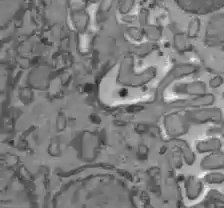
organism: C57BL Mouse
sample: Liver